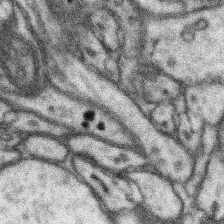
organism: Mouse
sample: Somatosensory cortex neuropil